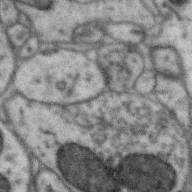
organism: Zebra finch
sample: Brain